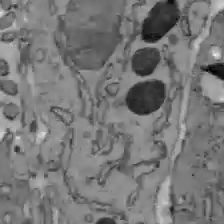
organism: C57BL Mouse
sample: Liver